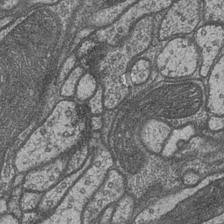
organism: Drosophila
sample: Optic medulla